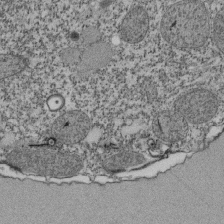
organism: Tetrahymena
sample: Cilia in tetrahymena